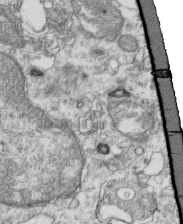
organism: Mouse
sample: Activated OT-1 CD8+ T cells